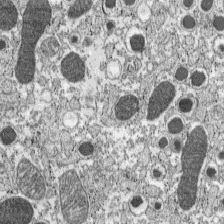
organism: C57BL Mouse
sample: Pancreatic islet